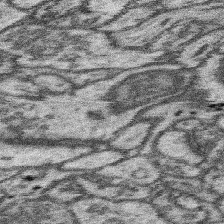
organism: Mouse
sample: Somatosensory cortex neuropil